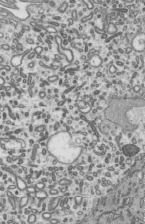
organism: Mouse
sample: Mouse epididymis efferent ductule cilia